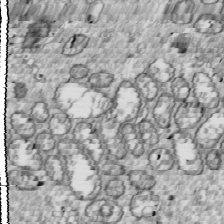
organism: Drosophila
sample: Cell division; meiosis; drosophila spermatocytes